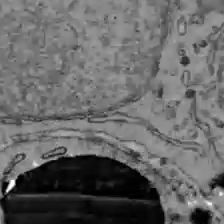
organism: C57BL Mouse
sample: Liver